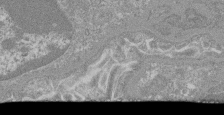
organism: Mouse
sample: Glomerulus